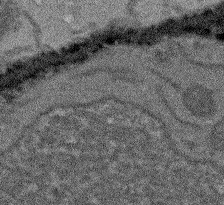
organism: Arabidopsis thaliana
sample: Root tip